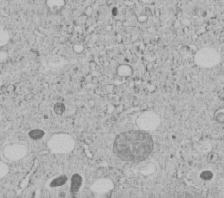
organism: C. elegans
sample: C. elegans embryo early stage